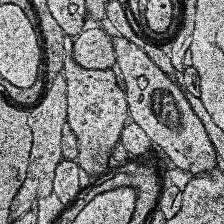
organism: Human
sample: Temporal Lobe